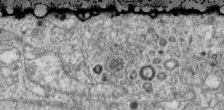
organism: Human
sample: HeLa cell HIV synapse